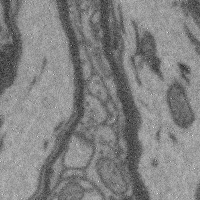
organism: Mouse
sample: Cerebral cortex